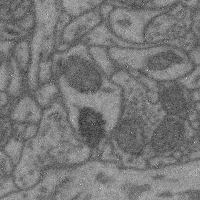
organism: Mouse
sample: Cerebral cortex